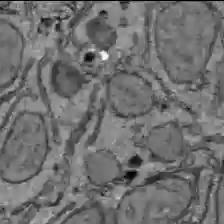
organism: C57BL Mouse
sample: Liver